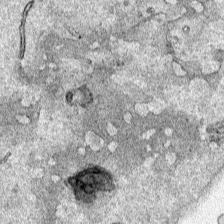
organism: Human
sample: Mitochondria in HCT116 cells